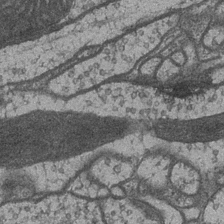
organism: Drosophila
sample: Optic medulla